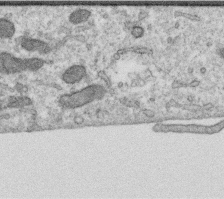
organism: Human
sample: Centriole in RPE cells